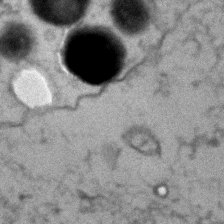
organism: Zebrafish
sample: Zebrafish embryo